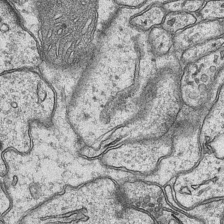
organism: Mouse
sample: CA1 Hippocampus